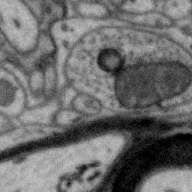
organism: Zebra finch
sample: Brain